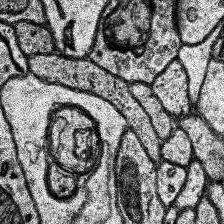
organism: Human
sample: Temporal Lobe